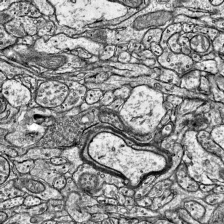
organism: Mouse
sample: Visual Cortex